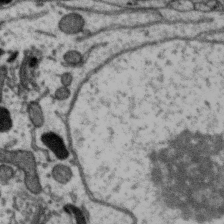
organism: Zebra finch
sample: Brain